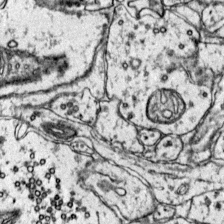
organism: Mouse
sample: Primary visual cortex